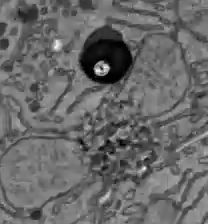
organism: C57BL Mouse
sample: Liver